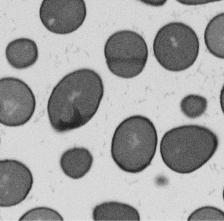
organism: B. subtilis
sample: Bacterial spore